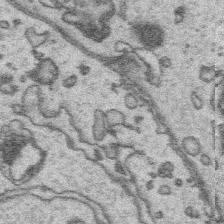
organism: Platynereis dumerilii